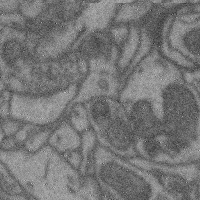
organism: Mouse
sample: Cerebral cortex